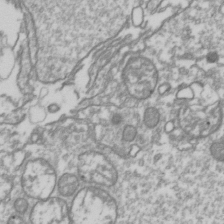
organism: Drosophila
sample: Cell division; meiosis; drosophila spermatocytes